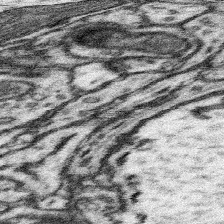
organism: Mouse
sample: Somatosensory cortex neuropil